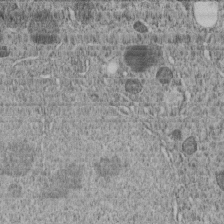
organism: C. elegans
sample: C. elegans embryo early stage